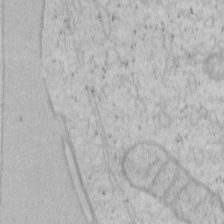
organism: Human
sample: HeLa cells